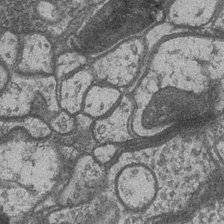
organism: Drosophila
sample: Optic medulla